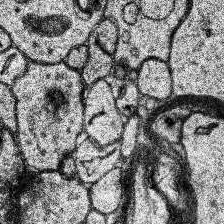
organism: Human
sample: Temporal Lobe